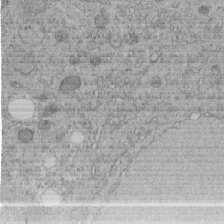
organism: C. elegans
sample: C. elegans embryo early stage